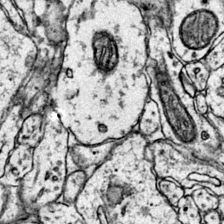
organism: Mouse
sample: Primary visual cortex